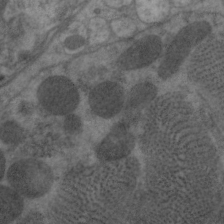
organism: C. elegans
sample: Pharynx